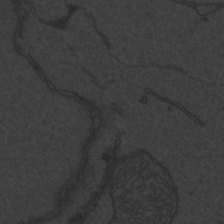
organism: Zebrafish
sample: Macrophage infected with Toxoplasma gondii